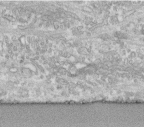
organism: Human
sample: Centriole in fibroblast cells